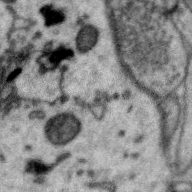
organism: Zebra finch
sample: Brain